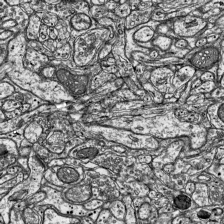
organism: Mouse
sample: Visual Cortex